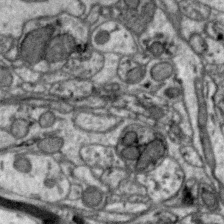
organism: Zebra finch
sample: Brain